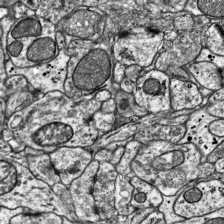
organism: Mouse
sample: Visual Cortex